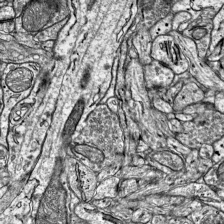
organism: Mouse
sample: Visual Cortex